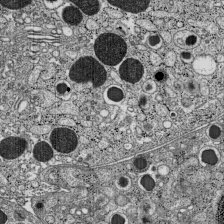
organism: C57BL Mouse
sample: Pancreatic islet